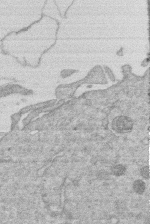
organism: Human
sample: Macrophage cells